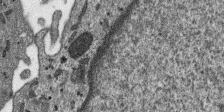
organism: Human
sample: Lung epithelial cells infected with SARS-CoV-2